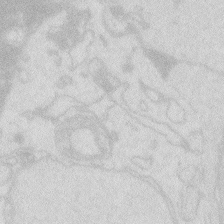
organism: Zebrafish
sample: Macrophage